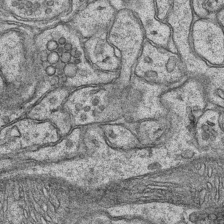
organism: Mouse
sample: CA1 Hippocampus